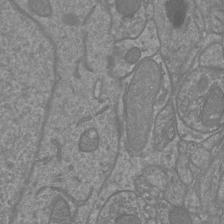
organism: Mouse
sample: Cortical neurons